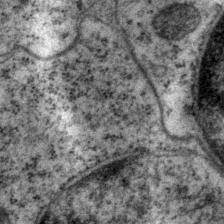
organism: P. pacificus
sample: Pharynx